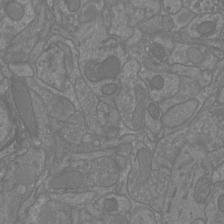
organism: Mouse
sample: Cortical neurons